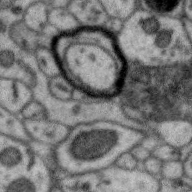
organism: Zebra finch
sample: Brain